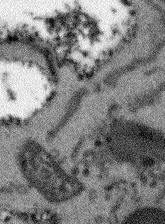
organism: Arabidopsis thaliana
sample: Root tip